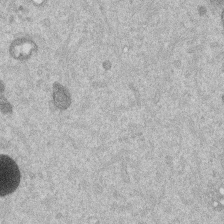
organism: Mouse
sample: Dividing mouse embryo 1 cell stage